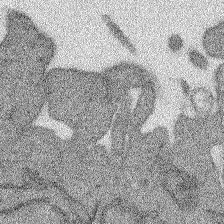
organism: Human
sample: HeLa cells